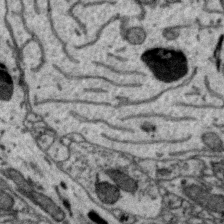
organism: Zebra finch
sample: Brain